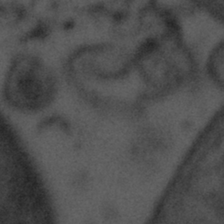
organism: Tuwongella immobilis